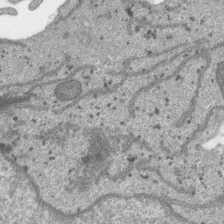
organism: Human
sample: Lung epithelial cells infected with SARS-CoV-2